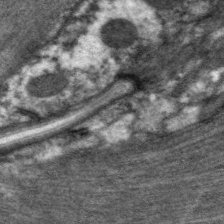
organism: C. elegans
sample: Pharynx